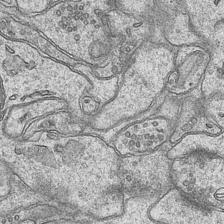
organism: Mouse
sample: CA1 Hippocampus